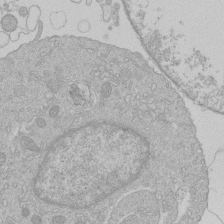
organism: Human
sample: Macrophage cells